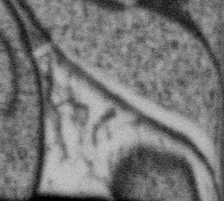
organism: Gemmata obscuriglobus